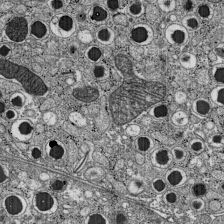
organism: C57BL Mouse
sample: Pancreatic islet